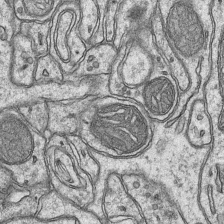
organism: Mouse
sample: CA1 Hippocampus